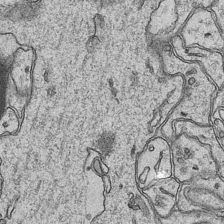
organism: Mouse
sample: CA1 Hippocampus